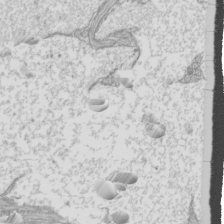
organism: Mouse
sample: Cilia; mouse epididymis